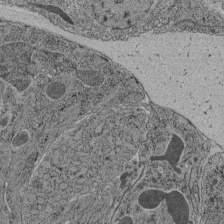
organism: C. elegans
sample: C. elegans pharynx